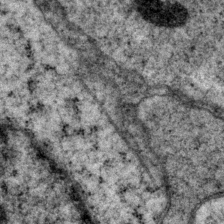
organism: P. pacificus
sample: Pharynx